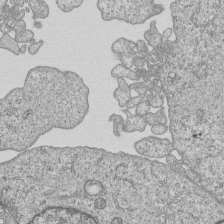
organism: Human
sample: MDA-MB-231 cells